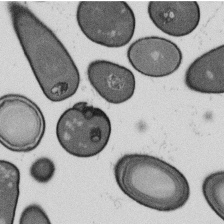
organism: B. subtilis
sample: Bacterial spore